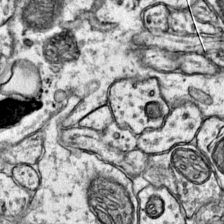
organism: Mouse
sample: Primary visual cortex